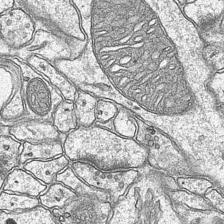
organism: Mouse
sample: CA1 Hippocampus